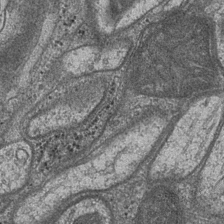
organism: Drosophila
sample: Optic medulla